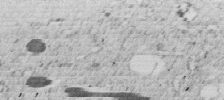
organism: C. elegans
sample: C. elegans embryo early stage